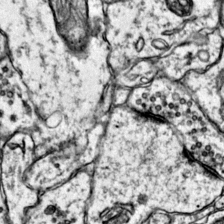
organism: Mouse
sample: Primary visual cortex